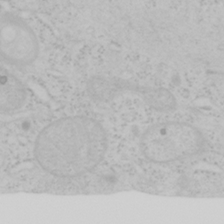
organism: Mouse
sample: OT-I killer T cells with ID8 ovarian cancer cells